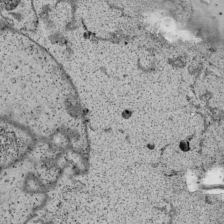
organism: Human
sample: Mitochondria in HCT116 cells